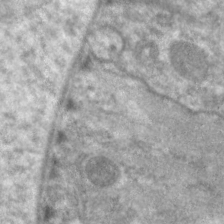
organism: C. elegans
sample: Pharynx